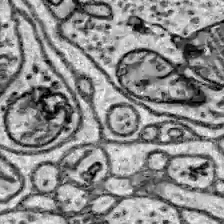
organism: Zebrafish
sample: Brain